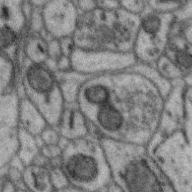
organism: Zebra finch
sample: Brain